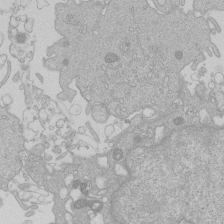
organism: Human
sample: Macrophage cells